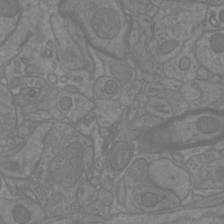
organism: Mouse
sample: Cortical neurons